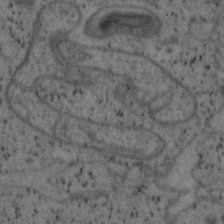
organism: Human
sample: HeLa cells